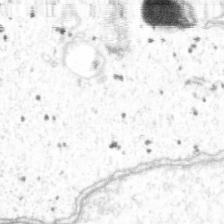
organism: Human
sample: HeLa cells